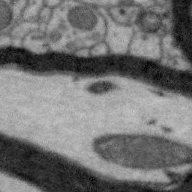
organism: Zebra finch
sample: Brain